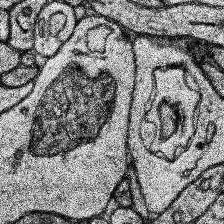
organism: Human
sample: Temporal Lobe